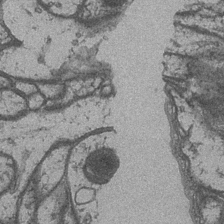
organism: Drosophila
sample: Optic medulla